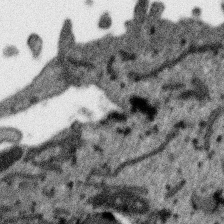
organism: Human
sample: Lung epithelial cells infected with SARS-CoV-2